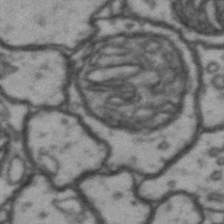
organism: Drosophila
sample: Brain